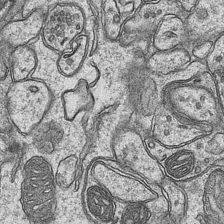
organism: Mouse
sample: CA1 Hippocampus